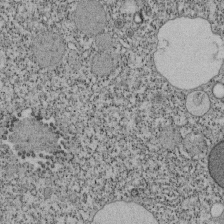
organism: Tetrahymena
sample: Cilia in tetrahymena